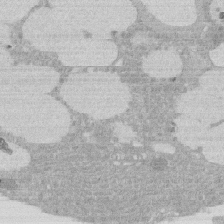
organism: Rat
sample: Salivary granule